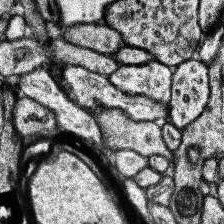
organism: Human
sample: Temporal Lobe